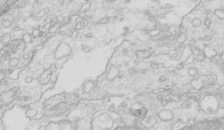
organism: Mouse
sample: Multiciliated cells